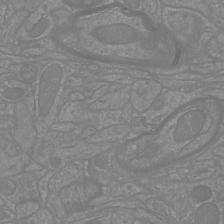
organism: Mouse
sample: Cortical neurons